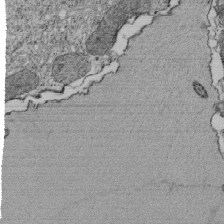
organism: Tetrahymena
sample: Cilia in tetrahymena